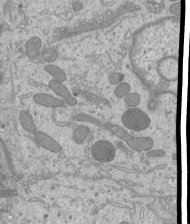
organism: Mouse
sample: Cilia; mouse epididymis